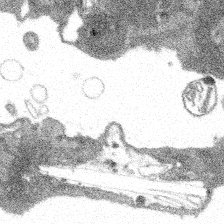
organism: Spongilla lacustris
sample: Multiple